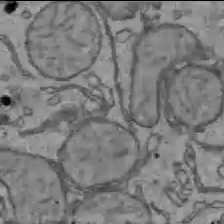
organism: C57BL Mouse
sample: Liver